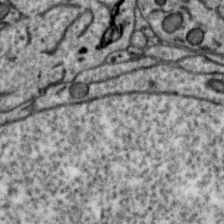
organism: Zebra finch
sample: Brain